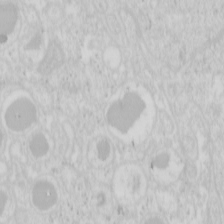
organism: Mouse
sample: Pancreas